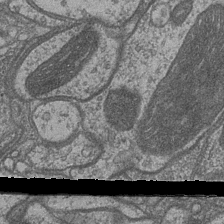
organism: Drosophila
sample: Optic medulla